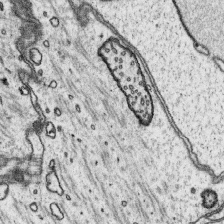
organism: Platynereis dumerilii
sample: Parapodia